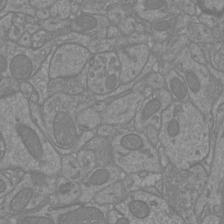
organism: Mouse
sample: Cortical neurons